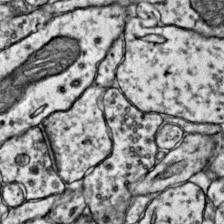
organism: Mouse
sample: Primary visual cortex